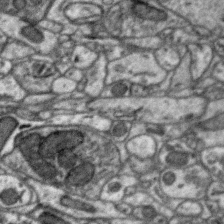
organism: Zebra finch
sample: Brain